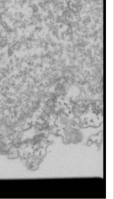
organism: Drosophila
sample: Cell division; meiosis; drosophila spermatocytes